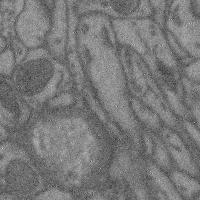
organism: Mouse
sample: Cerebral cortex